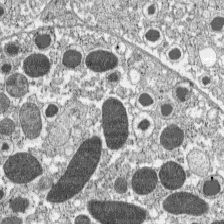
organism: C57BL Mouse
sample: Pancreatic islet